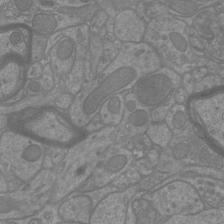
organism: Mouse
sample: Cortical neurons